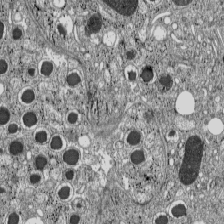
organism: C57BL Mouse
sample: Pancreatic islet